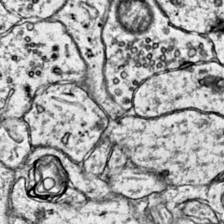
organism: Mouse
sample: Primary visual cortex